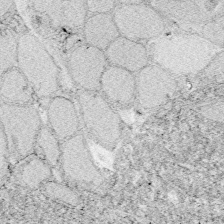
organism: Zebrafish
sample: Whole-Brain